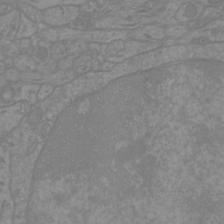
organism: Mouse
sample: Cortical neurons